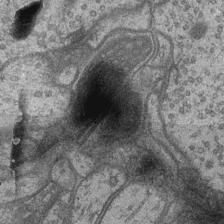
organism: Drosophila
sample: Optic medulla